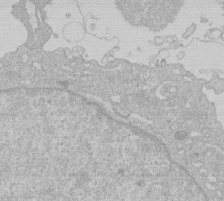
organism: Human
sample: Macrophage cells